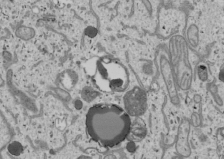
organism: Human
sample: Mitochondria in U2OS cells